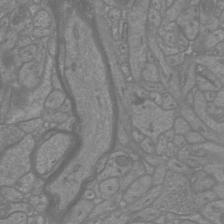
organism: Mouse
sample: Cortical neurons